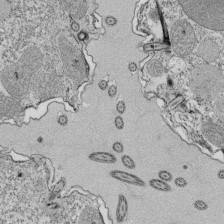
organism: Tetrahymena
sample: Cilia in tetrahymena